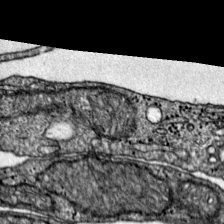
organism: Mouse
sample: Primary visual cortex